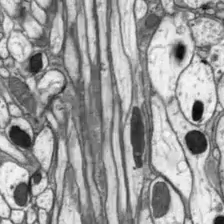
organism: Drosophila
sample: Optic lobe